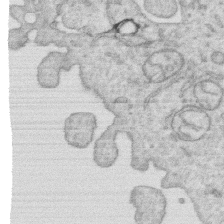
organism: Human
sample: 1205lu cells